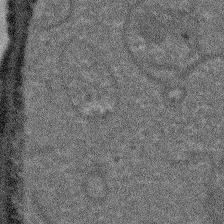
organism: Arabidopsis thaliana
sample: Root tip